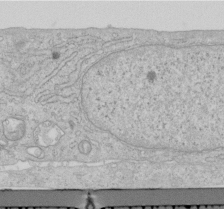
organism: Human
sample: Centriole in RPE cells